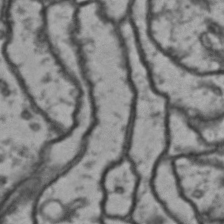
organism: Drosophila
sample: Brain